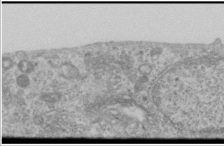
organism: Human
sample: Cilia; basal body in RPE cells